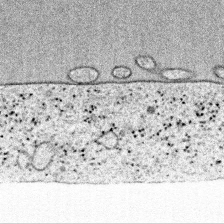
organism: Human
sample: HeLa cells